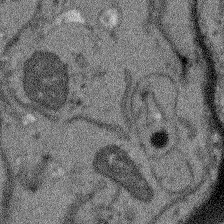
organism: Arabidopsis thaliana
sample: Root tip